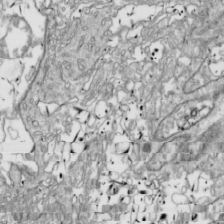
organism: Drosophila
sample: Cell division; meiosis; drosophila spermatocytes